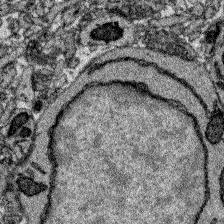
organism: Zebrafish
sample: Larval olfactory bulb